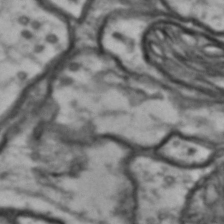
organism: Drosophila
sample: Brain